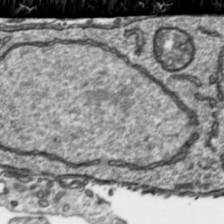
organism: Toxoplasma gondii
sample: Parasites in a vacuole inside a host cell